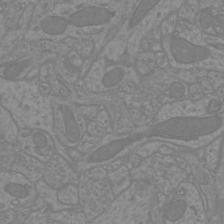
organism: Mouse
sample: Cortical neurons